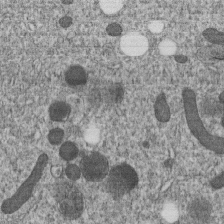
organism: C. elegans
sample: C. elegans embryo early stage